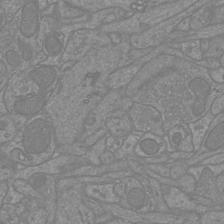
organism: Mouse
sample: Cortical neurons